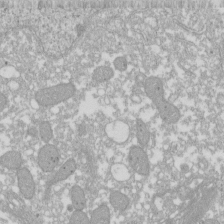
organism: Xenopus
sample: Cilia; centrioles in frog embryo cells